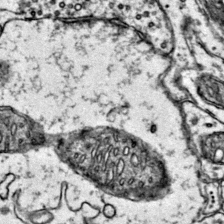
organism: Mouse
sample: Primary visual cortex